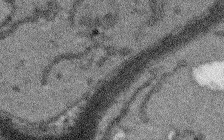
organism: Arabidopsis thaliana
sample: Root tip